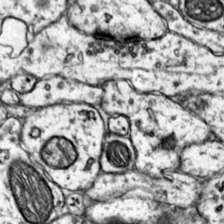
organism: Mouse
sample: Primary visual cortex